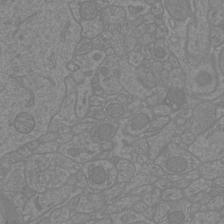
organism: Mouse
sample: Cortical neurons